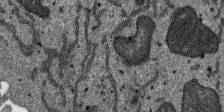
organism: Human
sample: Lung epithelial cells infected with SARS-CoV-2